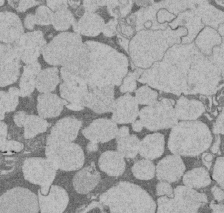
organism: Rat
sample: Salivary granule